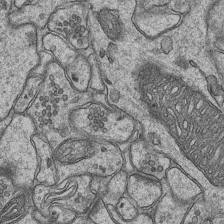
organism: Mouse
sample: CA1 Hippocampus